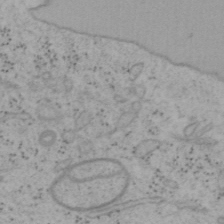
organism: Human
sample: HeLa cells